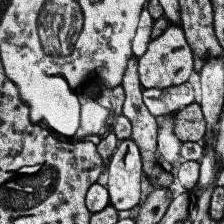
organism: Human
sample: Temporal Lobe